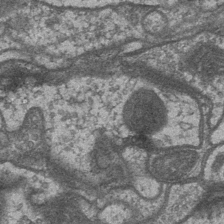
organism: Drosophila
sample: Optic medulla